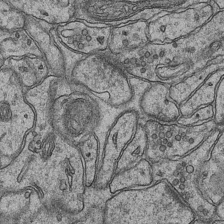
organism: Mouse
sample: CA1 Hippocampus